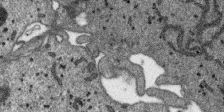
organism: Human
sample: Lung epithelial cells infected with SARS-CoV-2